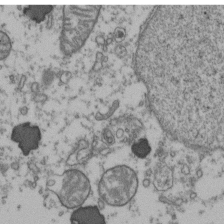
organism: Human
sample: Activated Jurkat CD4+ T cells